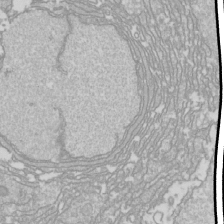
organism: Drosophila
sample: Cell division; meiosis; drosophila spermatocytes